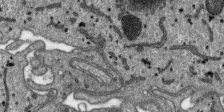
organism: Human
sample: Lung epithelial cells, uninfected (mock) control